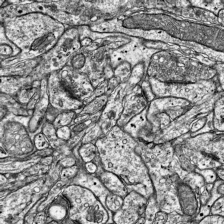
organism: Mouse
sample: Visual Cortex